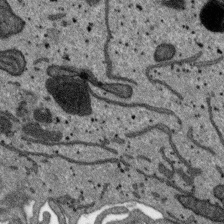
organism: Human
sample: Lung epithelial cells, uninfected (mock) control